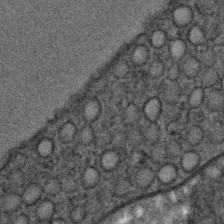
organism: C. elegans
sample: C. elegans embryo